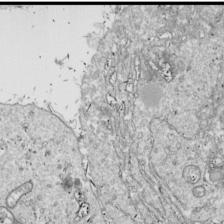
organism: Drosophila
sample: Cell division; meiosis; drosophila spermatocytes